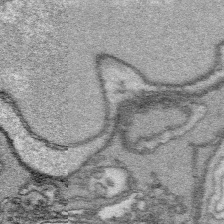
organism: Platynereis dumerilii